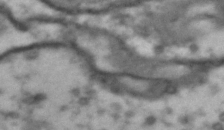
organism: Drosophila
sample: Brain